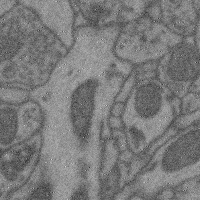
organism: Mouse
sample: Cerebral cortex